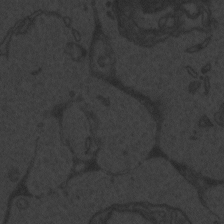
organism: Zebrafish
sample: Macrophage infected with Toxoplasma gondii